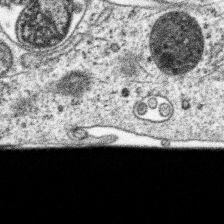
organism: Human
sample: HeLa cells